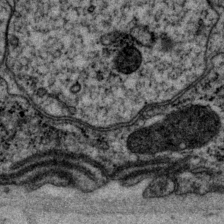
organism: P. pacificus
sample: Pharynx